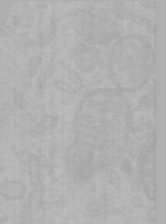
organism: Mouse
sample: Choroid plexus